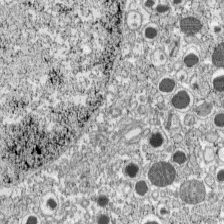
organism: C57BL Mouse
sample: Pancreatic islet